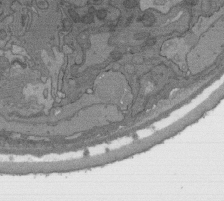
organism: C. elegans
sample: AFD neurons C. elegans